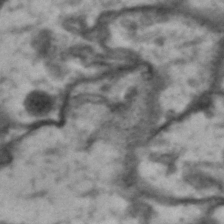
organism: Drosophila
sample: Brain